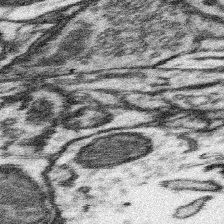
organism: Mouse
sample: Somatosensory cortex neuropil